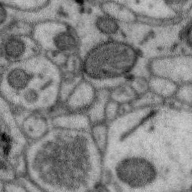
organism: Zebra finch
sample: Brain